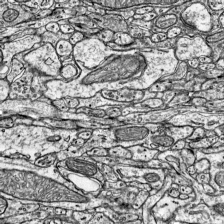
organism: Mouse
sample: Visual Cortex